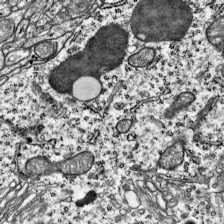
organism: Mouse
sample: Visual Cortex